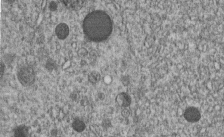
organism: C. elegans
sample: C. elegans embryo early stage